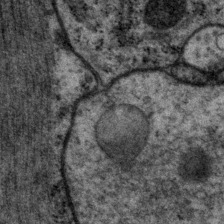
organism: P. pacificus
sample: Pharynx